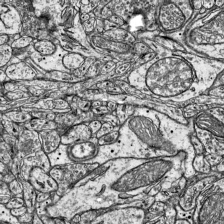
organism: Mouse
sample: Visual Cortex